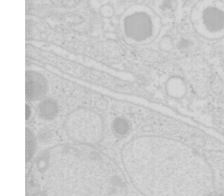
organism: Mouse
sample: Pancreas